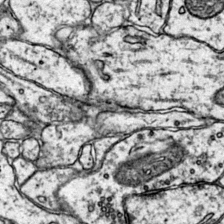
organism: Mouse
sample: Primary visual cortex